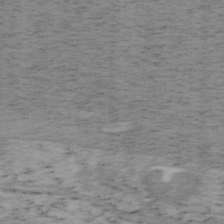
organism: Mouse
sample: OT-I killer T cells with ID8 ovarian cancer cells